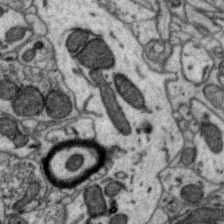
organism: Zebra finch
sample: Brain